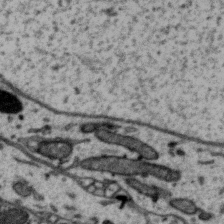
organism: Zebra finch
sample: Brain